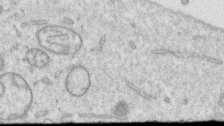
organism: Human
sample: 1205lu cells